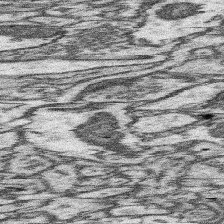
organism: Mouse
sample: Somatosensory cortex neuropil